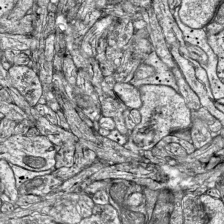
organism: Mouse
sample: Visual Cortex